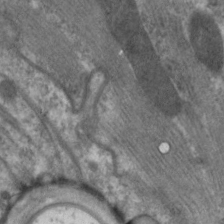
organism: C. elegans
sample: Pharynx